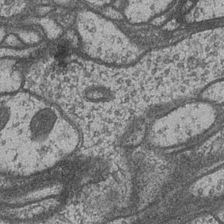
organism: Drosophila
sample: Optic medulla